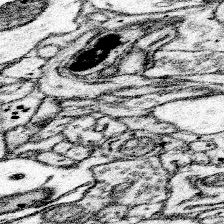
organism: Mouse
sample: Somatosensory cortex neuropil